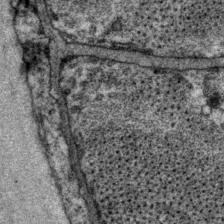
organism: P. pacificus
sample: Pharynx